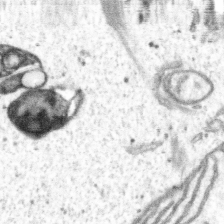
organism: Human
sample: HeLa cells